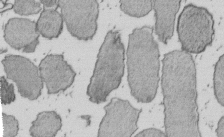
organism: E. coli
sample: Bacterial nucleoid